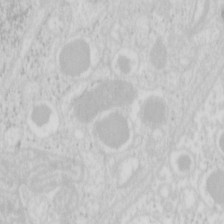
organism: Mouse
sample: Pancreas